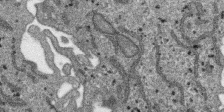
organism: Human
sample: Lung epithelial cells infected with SARS-CoV-2